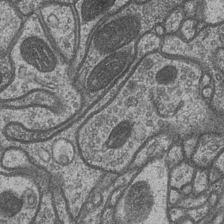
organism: Drosophila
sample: Optic medulla